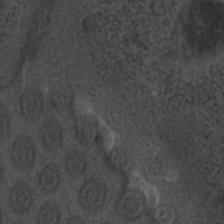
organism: C. elegans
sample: C. elegans embryo